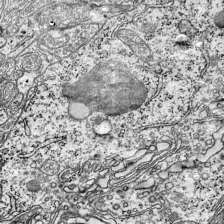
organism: Mouse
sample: Visual Cortex